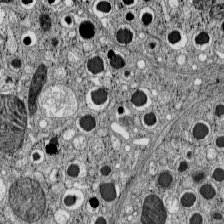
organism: C57BL Mouse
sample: Pancreatic islet